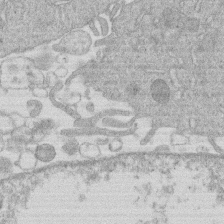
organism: Human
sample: Macrophage cells